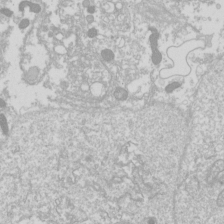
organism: Drosophila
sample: Cell division; meiosis; drosophila spermatocytes